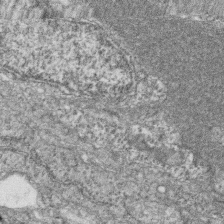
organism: Zebrafish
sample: Cilia; retinal pigment epithelium